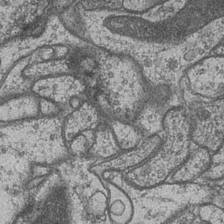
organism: Drosophila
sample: Optic medulla